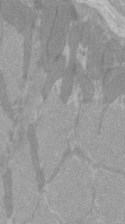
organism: C57BL Mouse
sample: Tibialis anterior muscle cell